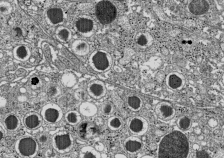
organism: C57BL Mouse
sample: Pancreatic islet